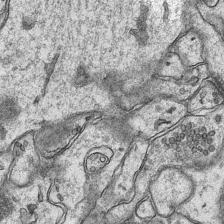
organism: Mouse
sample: CA1 Hippocampus